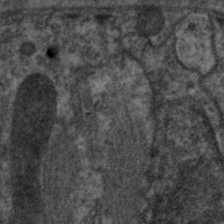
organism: C. elegans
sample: Pharynx